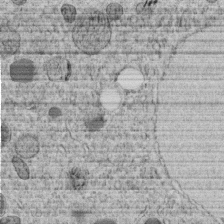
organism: C. elegans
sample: C. elegans embryo early stage